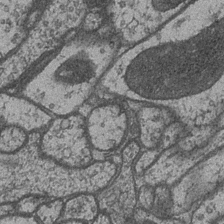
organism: Drosophila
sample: Optic medulla